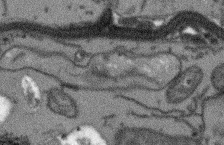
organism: Arabidopsis thaliana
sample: Root tip